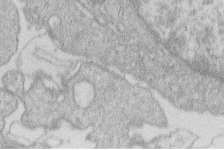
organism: Human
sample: Macrophage cells